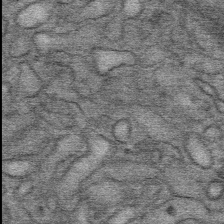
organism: Mouse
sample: Mouse Salivary gland